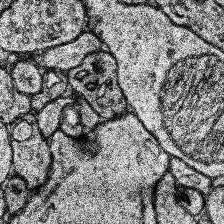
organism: Human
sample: Temporal Lobe